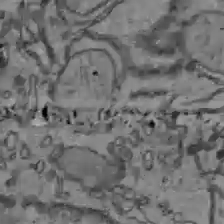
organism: C57BL Mouse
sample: Liver